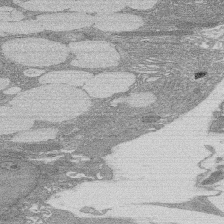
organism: Rat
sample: Salivary granule